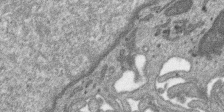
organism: Human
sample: Lung epithelial cells infected with SARS-CoV-2